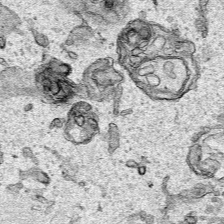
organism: Human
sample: Mitochondria in HCT116 cells